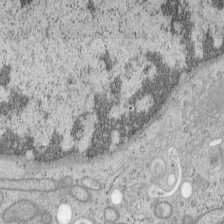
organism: Mouse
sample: OT-I killer T cells with ID8 ovarian cancer cells